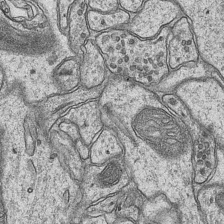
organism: Mouse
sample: CA1 Hippocampus